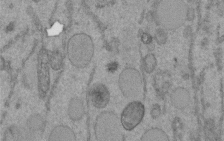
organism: C. elegans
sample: C. elegans embryo early stage